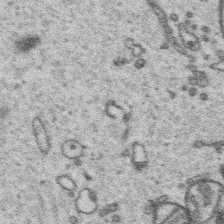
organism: Platynereis dumerilii